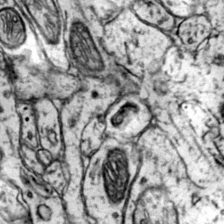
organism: Mouse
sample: Primary visual cortex